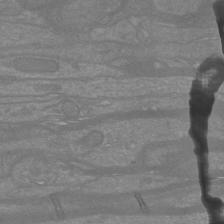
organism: Mouse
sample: Cortical neurons